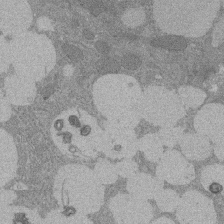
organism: Rat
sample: Salivary granule